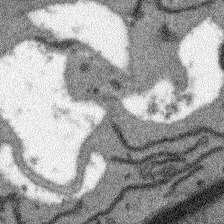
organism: Arabidopsis thaliana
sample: Root tip